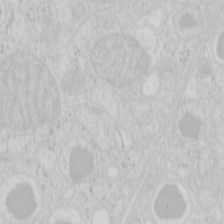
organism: Mouse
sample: Pancreas